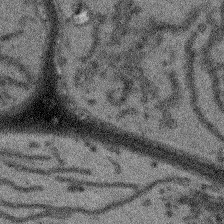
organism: Arabidopsis thaliana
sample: Root tip